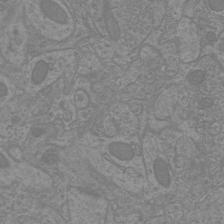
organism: Mouse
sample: Cortical neurons